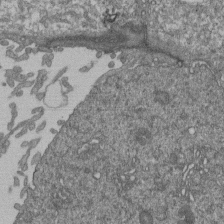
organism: Human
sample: Retinal organoid Rod and Cone cells